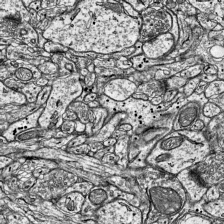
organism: Mouse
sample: Visual Cortex